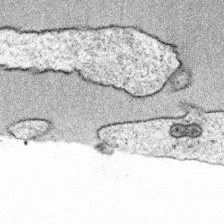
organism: Human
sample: HeLa cells